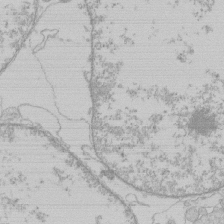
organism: Human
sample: Macrophage cells